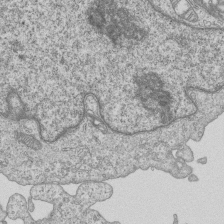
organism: Human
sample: MDA-MB-231 cells